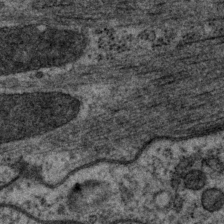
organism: P. pacificus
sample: Pharynx